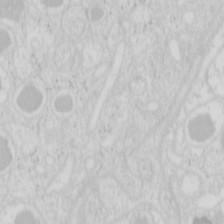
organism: Mouse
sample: Pancreas